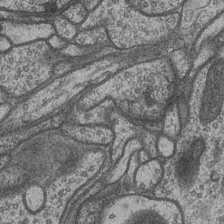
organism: Drosophila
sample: Optic medulla